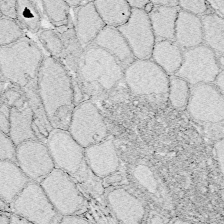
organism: Zebrafish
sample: Whole-Brain